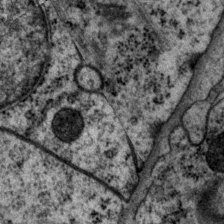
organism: P. pacificus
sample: Pharynx